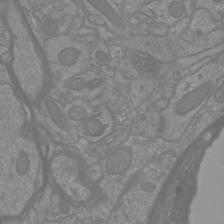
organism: Mouse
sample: Cortical neurons